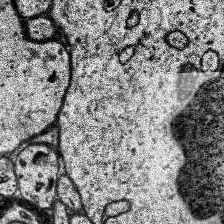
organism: Human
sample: Temporal Lobe